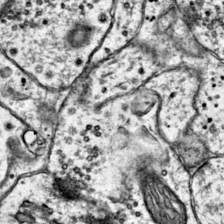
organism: Mouse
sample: Primary visual cortex